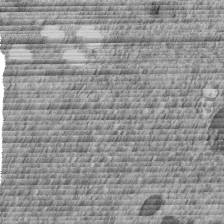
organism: C. elegans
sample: C. elegans embryo early stage